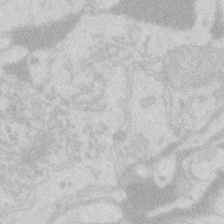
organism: Zebrafish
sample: Macrophage